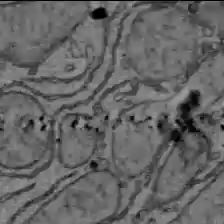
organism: C57BL Mouse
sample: Liver